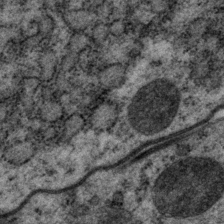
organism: P. pacificus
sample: Pharynx